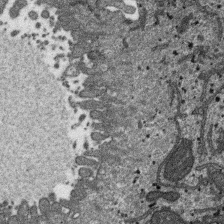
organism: Human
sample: Lung epithelial cells infected with SARS-CoV-2